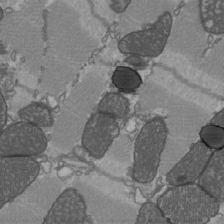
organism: C57BL Mouse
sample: Heart